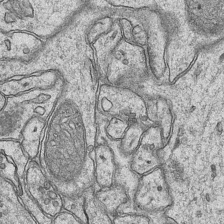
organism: Mouse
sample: CA1 Hippocampus